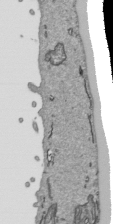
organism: Human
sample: Mitochondria in HCT116 cells